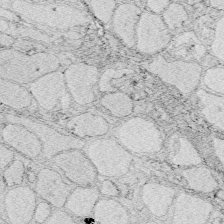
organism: Zebrafish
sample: Whole-Brain